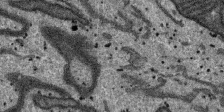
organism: Human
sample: Lung epithelial cells, uninfected (mock) control